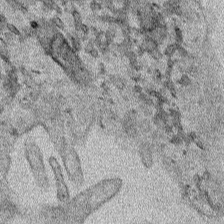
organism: Human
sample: Mitochondria in HCT116 cells